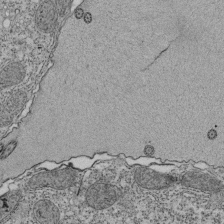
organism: Tetrahymena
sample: Cilia in tetrahymena